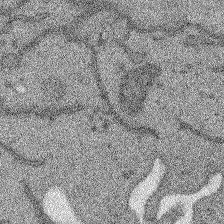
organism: Human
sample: HeLa cells